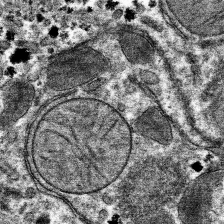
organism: Mouse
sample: Mouse hepatocytes